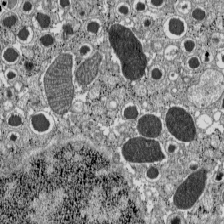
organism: C57BL Mouse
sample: Pancreatic islet